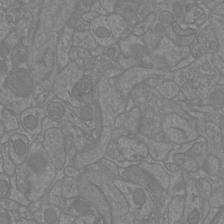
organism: Mouse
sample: Cortical neurons